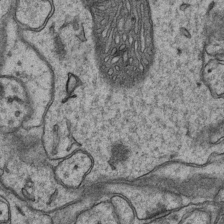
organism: Mouse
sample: CA1 Hippocampus